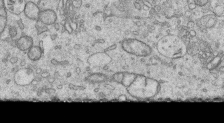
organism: Human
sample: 1205lu cells